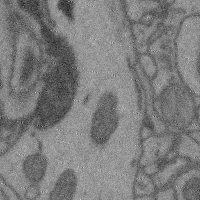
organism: Mouse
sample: Cerebral cortex